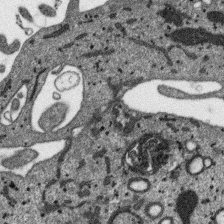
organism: Human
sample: Lung epithelial cells infected with SARS-CoV-2